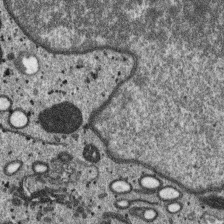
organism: Human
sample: Lung epithelial cells infected with SARS-CoV-2